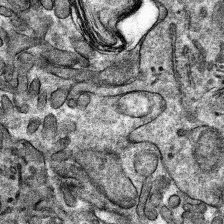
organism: Mouse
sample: Mouse hepatocytes